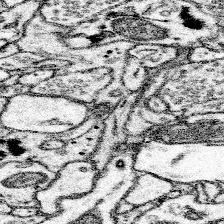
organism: Mouse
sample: Somatosensory cortex neuropil